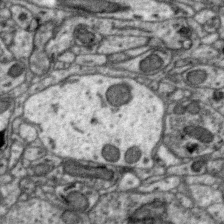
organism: Zebra finch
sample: Brain